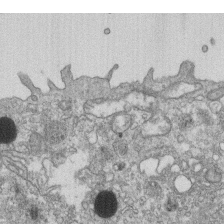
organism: Human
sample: HeLa cell HIV synapse